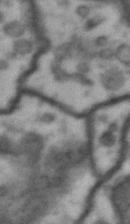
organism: Drosophila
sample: Brain